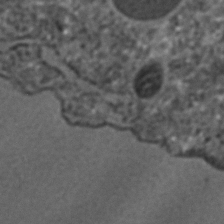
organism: C. elegans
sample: C. elegans embryo